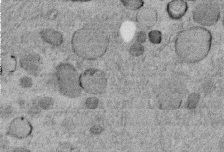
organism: C. elegans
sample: C. elegans embryo early stage